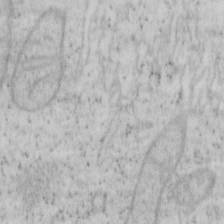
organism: Human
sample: HeLa cells